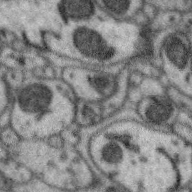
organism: Zebra finch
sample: Brain